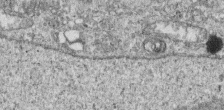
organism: Human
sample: HeLa cell HIV synapse